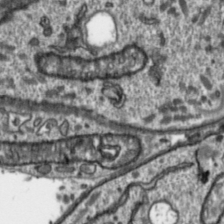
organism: Toxoplasma gondii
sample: Parasites in a vacuole inside a host cell